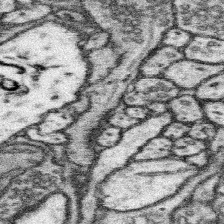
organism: Mouse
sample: Somatosensory cortex neuropil